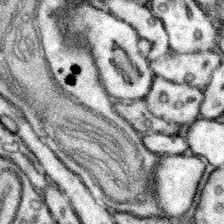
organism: Mouse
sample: Somatosensory cortex neuropil